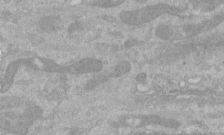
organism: Human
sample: Centriole in RPE cells